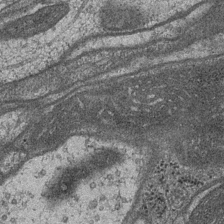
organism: Drosophila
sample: Optic medulla